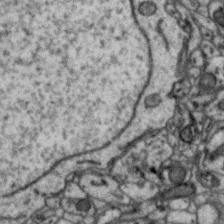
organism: Zebra finch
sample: Brain